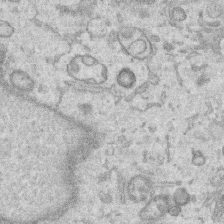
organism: Human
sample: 1205lu cells